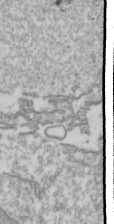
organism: Drosophila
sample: Cell division; meiosis; drosophila spermatocytes